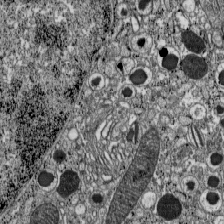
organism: C57BL Mouse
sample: Pancreatic islet